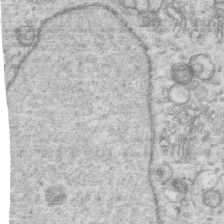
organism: Human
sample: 1205lu cells